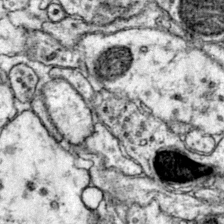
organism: Mouse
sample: Primary visual cortex